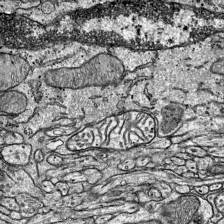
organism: Mouse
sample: Visual Cortex